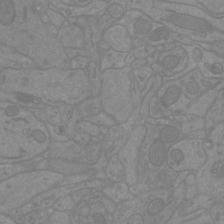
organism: Mouse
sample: Cortical neurons